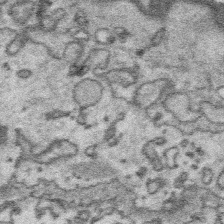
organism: Platynereis dumerilii